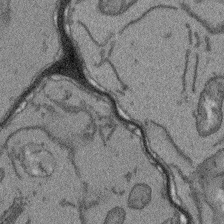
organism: Arabidopsis thaliana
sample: Root tip